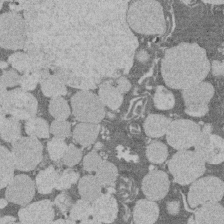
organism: Rat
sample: Salivary granule